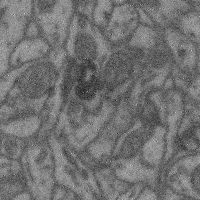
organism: Mouse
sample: Cerebral cortex